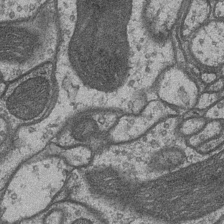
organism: Drosophila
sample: Optic medulla